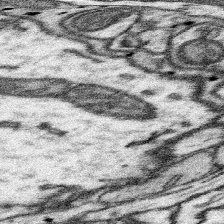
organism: Mouse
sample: Somatosensory cortex neuropil